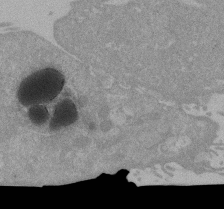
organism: Mouse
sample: ED-1 cell nuclei; centrioles